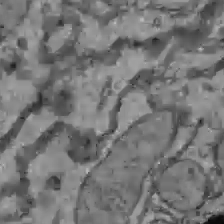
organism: C57BL Mouse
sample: Liver